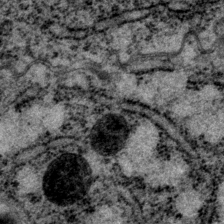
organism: P. pacificus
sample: Pharynx